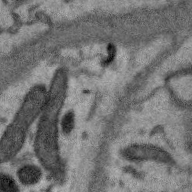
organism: Zebra finch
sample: Brain